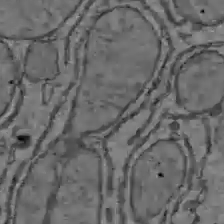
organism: C57BL Mouse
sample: Liver